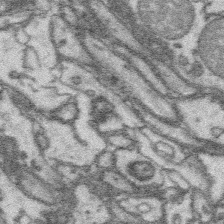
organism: Platynereis dumerilii